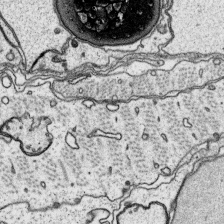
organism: Platynereis dumerilii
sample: Parapodia